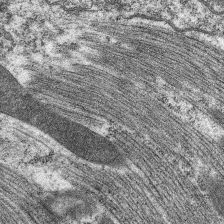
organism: C. elegans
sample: Pharynx